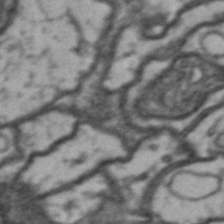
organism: Drosophila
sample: Brain